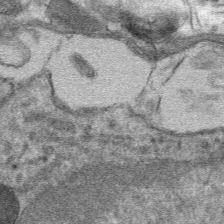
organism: Mouse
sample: Mouse hepatocytes